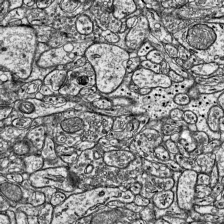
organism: Mouse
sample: Visual Cortex